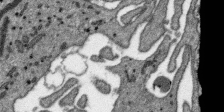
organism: Human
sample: Lung epithelial cells, uninfected (mock) control